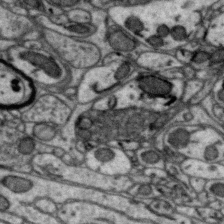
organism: Zebra finch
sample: Brain